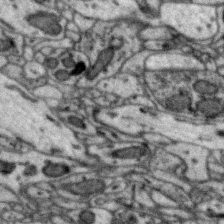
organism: Zebra finch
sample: Brain